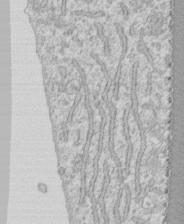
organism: Human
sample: CRL-1474